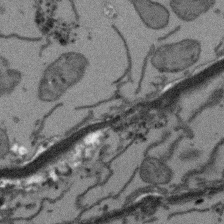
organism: Arabidopsis thaliana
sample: Root tip